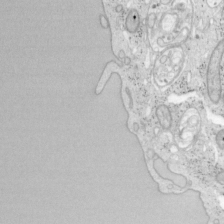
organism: Mouse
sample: OT-I killer T cells with ID8 ovarian cancer cells